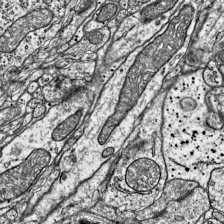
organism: Mouse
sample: Visual Cortex